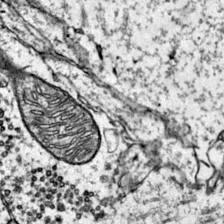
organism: Mouse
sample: Primary visual cortex